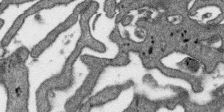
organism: Human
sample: Lung epithelial cells, uninfected (mock) control